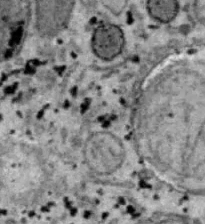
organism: Mouse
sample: Liver from an obese (ob/ob) mouse